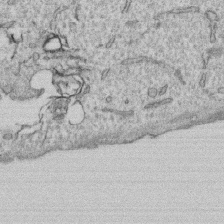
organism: Human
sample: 1205lu cells